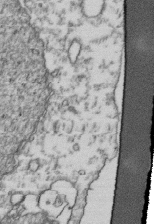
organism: Human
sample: Activated Jurkat CD4+ T cells